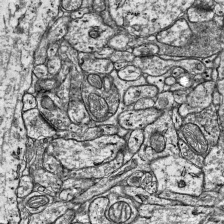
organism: Mouse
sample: Visual Cortex